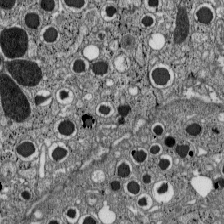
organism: C57BL Mouse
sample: Pancreatic islet